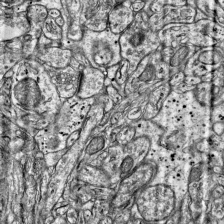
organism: Mouse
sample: Visual Cortex